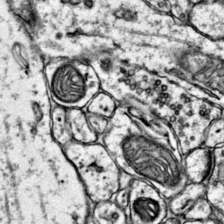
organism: Mouse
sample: Primary visual cortex